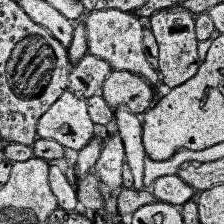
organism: Human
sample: Temporal Lobe